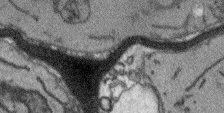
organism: Arabidopsis thaliana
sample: Root tip